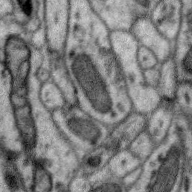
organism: Zebra finch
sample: Brain